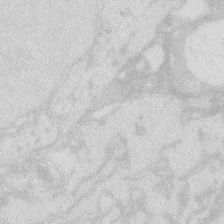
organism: Zebrafish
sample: Macrophage